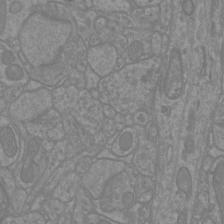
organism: Mouse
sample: Cortical neurons